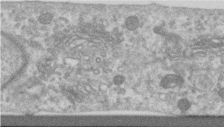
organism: Human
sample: Centriole in RPE cells